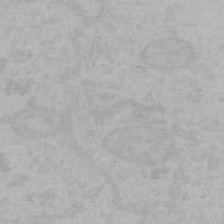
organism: Mouse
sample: Choroid plexus